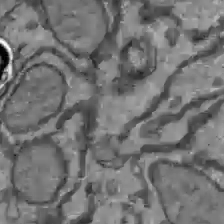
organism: C57BL Mouse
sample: Liver